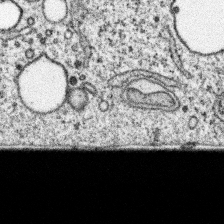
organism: Human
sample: HeLa cells